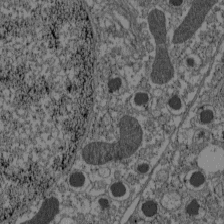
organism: C57BL Mouse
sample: Pancreatic islet